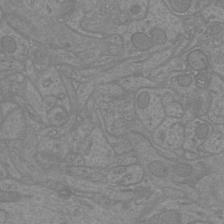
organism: Mouse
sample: Cortical neurons